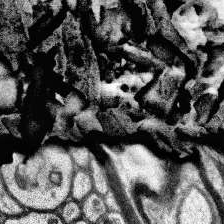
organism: Human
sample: Temporal Lobe